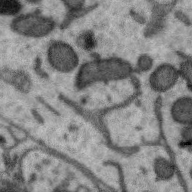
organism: Zebra finch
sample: Brain